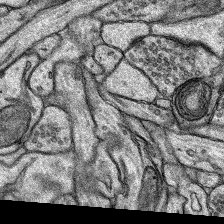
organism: Rat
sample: Hippocampus